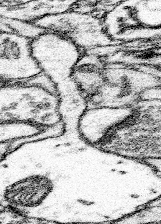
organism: Mouse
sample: Somatosensory cortex neuropil